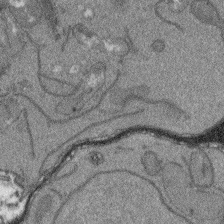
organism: Arabidopsis thaliana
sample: Root tip